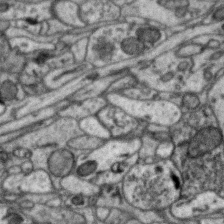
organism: Zebra finch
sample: Brain